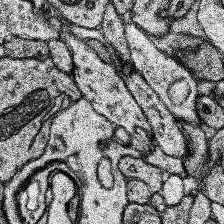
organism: Human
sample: Temporal Lobe